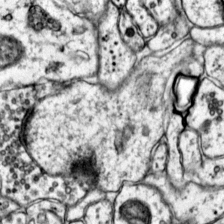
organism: Mouse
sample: Primary visual cortex